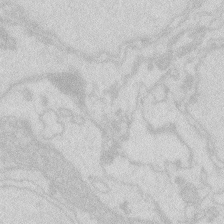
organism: Zebrafish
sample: Macrophage